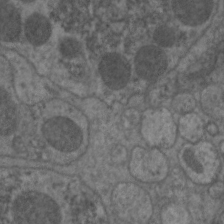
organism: C. elegans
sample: Pharynx